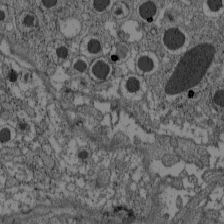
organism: C57BL Mouse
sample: Pancreatic islet